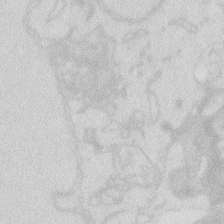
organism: Zebrafish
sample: Macrophage